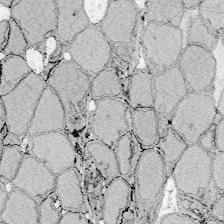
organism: Zebrafish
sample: Whole-Brain